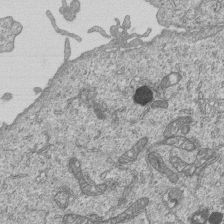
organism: Human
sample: MDA-MB-231 cells